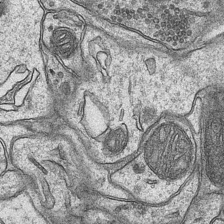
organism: Mouse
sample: CA1 Hippocampus